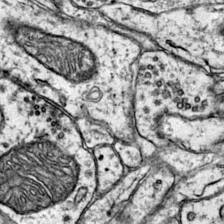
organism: Mouse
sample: Primary visual cortex